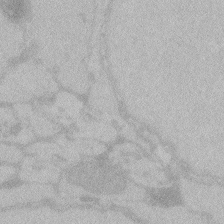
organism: Zebrafish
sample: Macrophage infected with Toxoplasma gondii